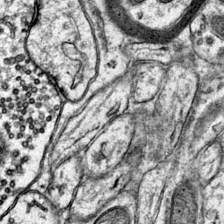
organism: Mouse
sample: Primary visual cortex